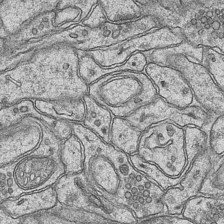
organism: Mouse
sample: CA1 Hippocampus